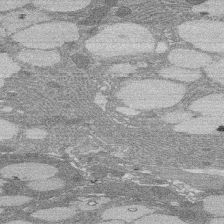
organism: Rat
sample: Salivary granule